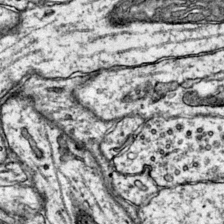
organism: Mouse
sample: Primary visual cortex